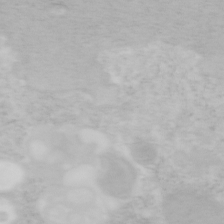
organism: Mouse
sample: OT-I killer T cells with ID8 ovarian cancer cells